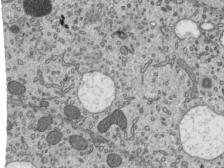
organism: Mouse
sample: Mouse epididymis efferent ductule cilia